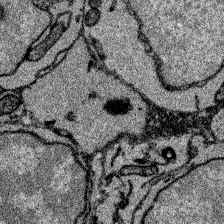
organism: Zebrafish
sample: Larval olfactory bulb